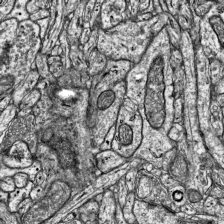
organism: Mouse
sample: Visual Cortex